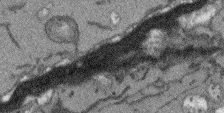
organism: Arabidopsis thaliana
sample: Root tip